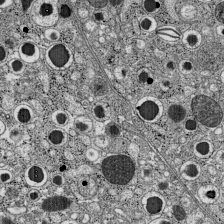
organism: C57BL Mouse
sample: Pancreatic islet